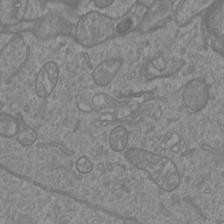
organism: Mouse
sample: Cortical neurons